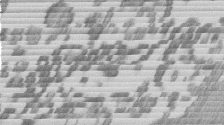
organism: Mouse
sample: Dividing mouse embryo 1 cell stage